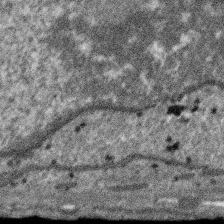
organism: Human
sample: Lung epithelial cells infected with SARS-CoV-2